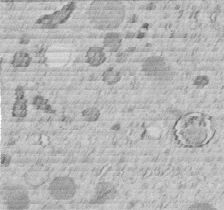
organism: C. elegans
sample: C. elegans embryo early stage